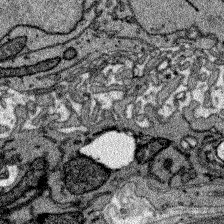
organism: Zebrafish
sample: Larval olfactory bulb